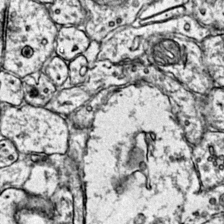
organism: Mouse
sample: Primary visual cortex